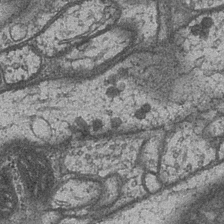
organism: Drosophila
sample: Optic medulla